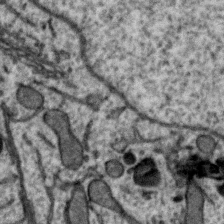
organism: Zebra finch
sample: Brain